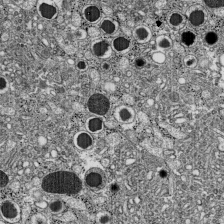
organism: C57BL Mouse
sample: Pancreatic islet